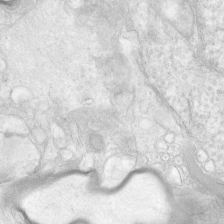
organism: Human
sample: Neocortex